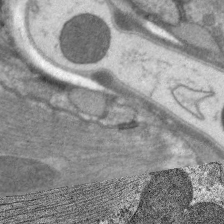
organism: C. elegans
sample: Pharynx